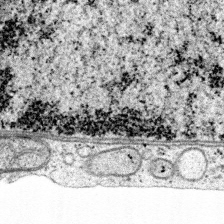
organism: Human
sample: HeLa cells